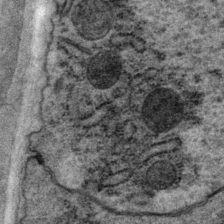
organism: P. pacificus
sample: Pharynx